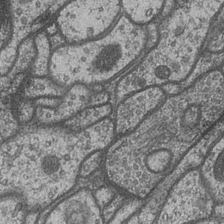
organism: Drosophila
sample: Optic medulla